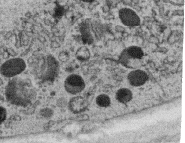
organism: C. elegans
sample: C. elegans oocyte; sperm cells